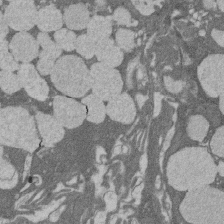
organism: Rat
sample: Salivary granule